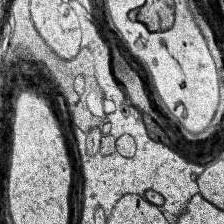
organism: Human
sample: Temporal Lobe